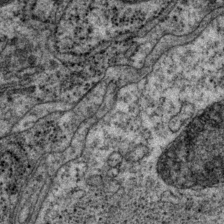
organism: P. pacificus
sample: Pharynx